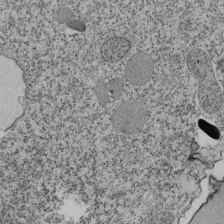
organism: Tetrahymena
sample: Cilia in tetrahymena